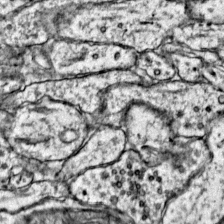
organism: Mouse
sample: Primary visual cortex